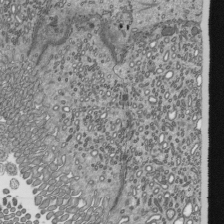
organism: Mouse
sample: Mouse epididymis efferent ductule cilia